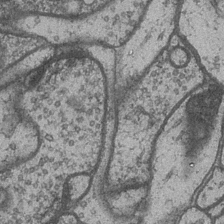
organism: Drosophila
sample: Optic medulla